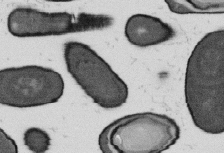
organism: B. subtilis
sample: Bacterial spore